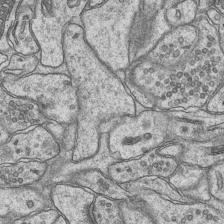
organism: Mouse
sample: CA1 Hippocampus